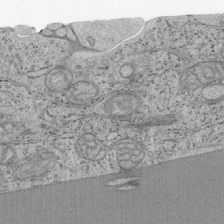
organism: Human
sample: HeLa cells